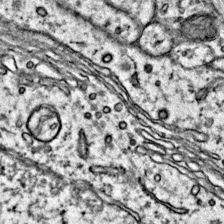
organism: Mouse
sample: Primary visual cortex